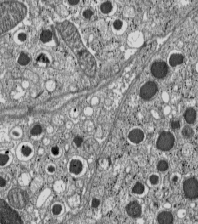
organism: C57BL Mouse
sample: Pancreatic islet